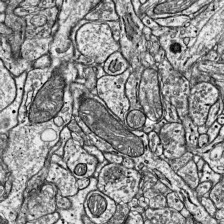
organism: Mouse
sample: Visual Cortex